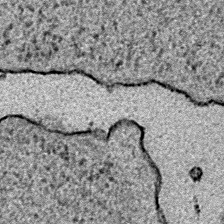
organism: E. coli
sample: E. Coli Bacteria